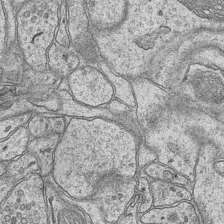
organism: Mouse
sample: CA1 Hippocampus